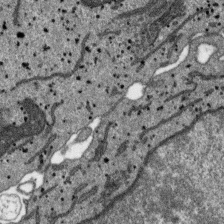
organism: Human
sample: Lung epithelial cells, uninfected (mock) control